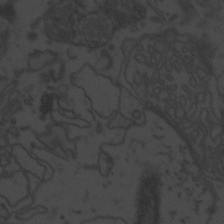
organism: Zebrafish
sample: Macrophage infected with Toxoplasma gondii